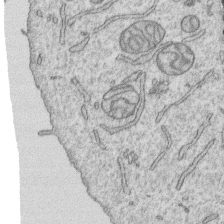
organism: Human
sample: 1205lu cells